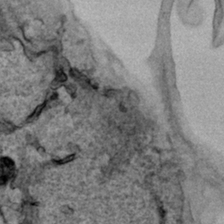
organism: Human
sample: Mitochondria in HCT116 cells